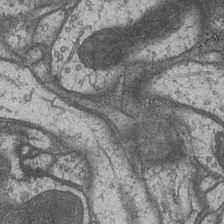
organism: Drosophila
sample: Optic medulla